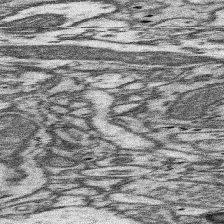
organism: Mouse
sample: Somatosensory cortex neuropil